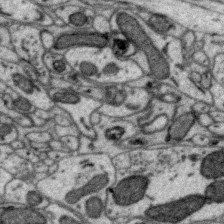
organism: Zebra finch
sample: Brain